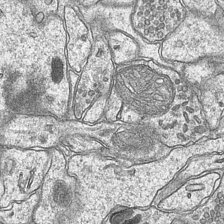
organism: Mouse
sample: CA1 Hippocampus